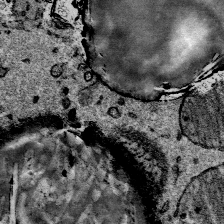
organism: Mouse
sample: Mouse Salivary gland